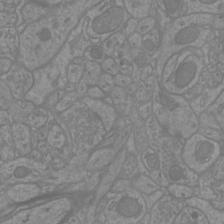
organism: Mouse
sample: Cortical neurons